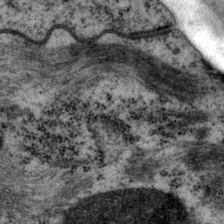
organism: P. pacificus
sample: Pharynx